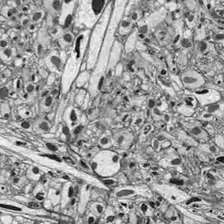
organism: Drosophila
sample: Optic lobe